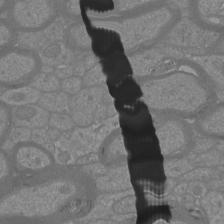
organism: Mouse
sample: Cortical neurons